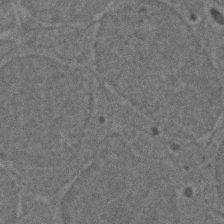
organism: Zebrafish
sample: Zebrafish embryo